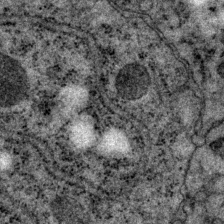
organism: P. pacificus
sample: Pharynx